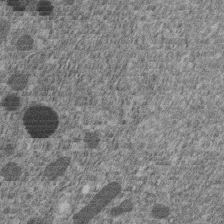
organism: C. elegans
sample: C. elegans embryo early stage